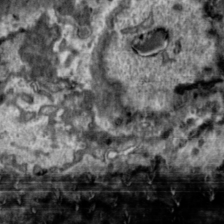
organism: Toxoplasma gondii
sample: Parasites in a vacuole inside a host cell